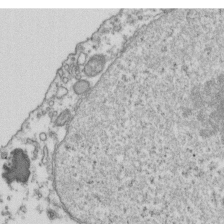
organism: Human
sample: Activated Jurkat CD4+ T cells